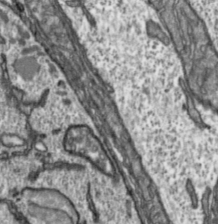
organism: Toxoplasma gondii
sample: Parasites in a vacuole inside a host cell